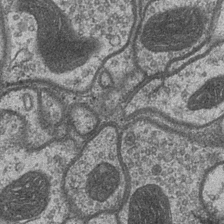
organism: Drosophila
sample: Optic medulla